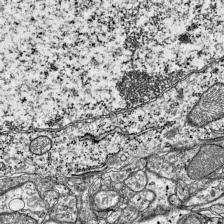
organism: Mouse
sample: Visual Cortex